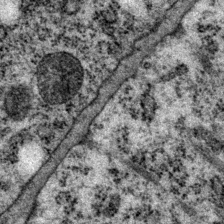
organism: P. pacificus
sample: Pharynx